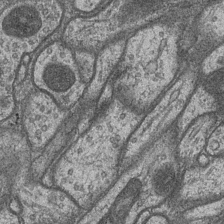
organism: Drosophila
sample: Optic medulla